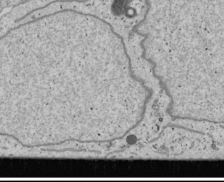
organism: Human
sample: Mitochondria in U2OS cells